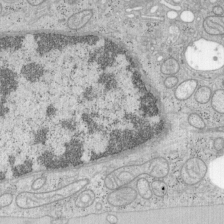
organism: Mouse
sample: OT-I killer T cells with ID8 ovarian cancer cells